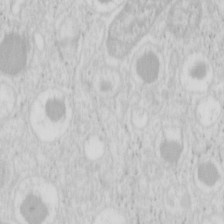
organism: Mouse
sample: Pancreas